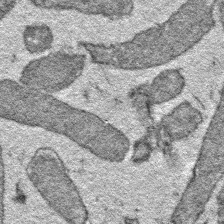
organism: E. coli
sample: E. Coli Bacteria